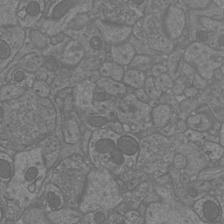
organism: Mouse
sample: Cortical neurons